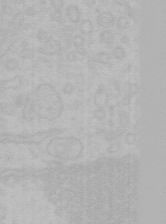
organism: Mouse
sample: Choroid plexus